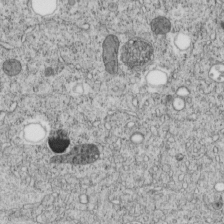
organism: C. elegans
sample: C. elegans embryo early stage